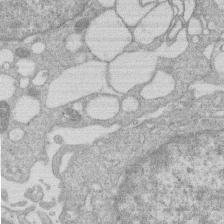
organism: Human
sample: Macrophage cells